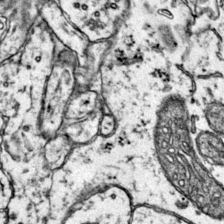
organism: Mouse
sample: Primary visual cortex